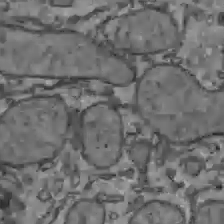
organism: C57BL Mouse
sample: Liver